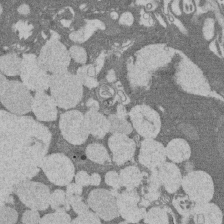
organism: Rat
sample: Salivary granule